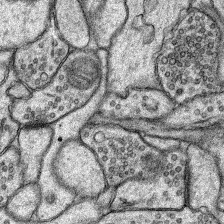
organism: Rat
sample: Hippocampus